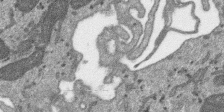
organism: Human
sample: Lung epithelial cells infected with SARS-CoV-2